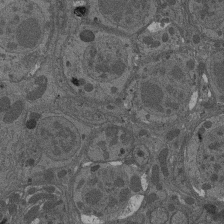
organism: Drosophila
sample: Antenna